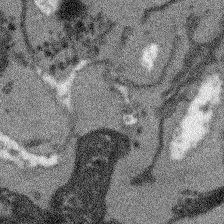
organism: Arabidopsis thaliana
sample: Root tip